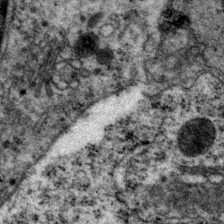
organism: P. pacificus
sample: Pharynx